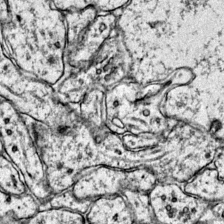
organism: Mouse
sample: Primary visual cortex